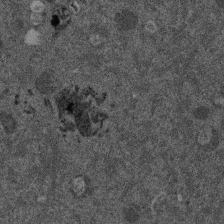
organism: Mouse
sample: Dividing mouse embryo 1 cell stage